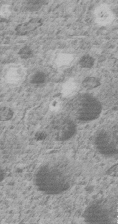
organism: C. elegans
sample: C. elegans embryo early stage